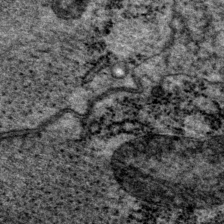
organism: P. pacificus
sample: Pharynx